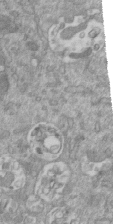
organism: Mouse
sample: ED-1 cell nuclei; centrioles